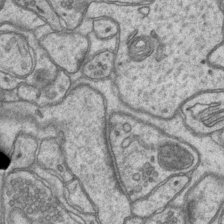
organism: Mouse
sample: CA1 Hippocampus